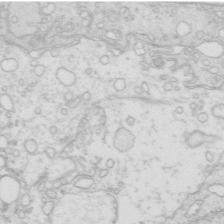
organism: Mouse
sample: Multiciliated cells